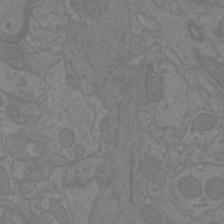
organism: Mouse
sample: Cortical neurons